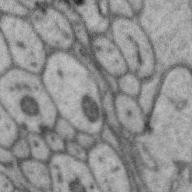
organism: Zebra finch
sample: Brain